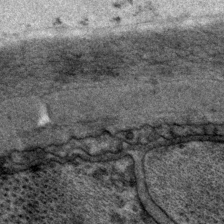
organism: P. pacificus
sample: Pharynx